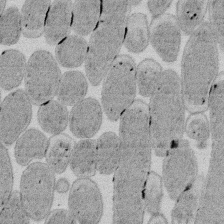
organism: E. coli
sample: Bacterial nucleoid